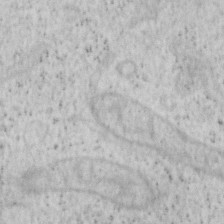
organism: Human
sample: HeLa cells